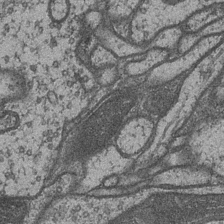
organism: Drosophila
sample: Optic medulla